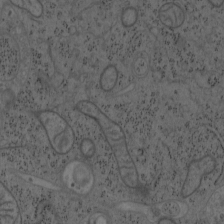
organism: Mouse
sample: OT-I killer T cells with ID8 ovarian cancer cells